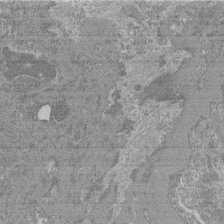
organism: Mouse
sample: Glomerulus